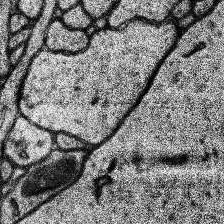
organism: Human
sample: Temporal Lobe